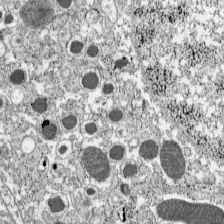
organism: C57BL Mouse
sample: Pancreatic islet